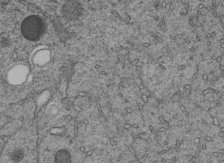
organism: C. elegans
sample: C. elegans embryo early stage